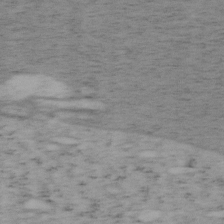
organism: Mouse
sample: OT-I killer T cells with ID8 ovarian cancer cells